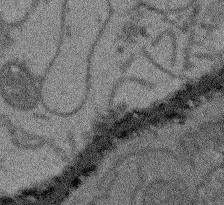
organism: Arabidopsis thaliana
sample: Root tip